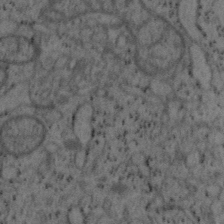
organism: Human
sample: HeLa cells